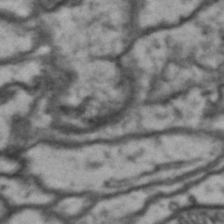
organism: Drosophila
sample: Brain